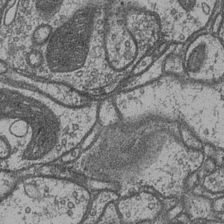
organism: Drosophila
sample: Optic medulla